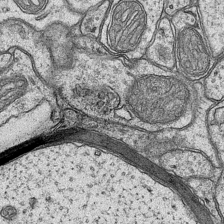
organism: Mouse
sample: CA1 Hippocampus